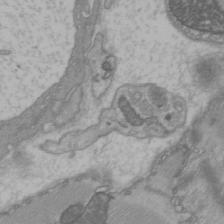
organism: C57BL Mouse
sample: Heart